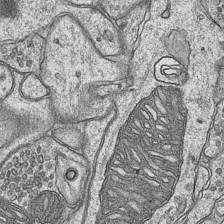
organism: Mouse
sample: CA1 Hippocampus